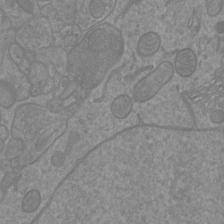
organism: Mouse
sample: Cortical neurons